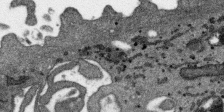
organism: Human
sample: Lung epithelial cells, uninfected (mock) control